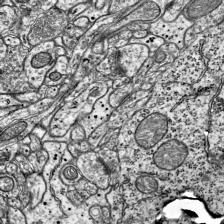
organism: Mouse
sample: Visual Cortex